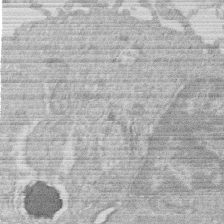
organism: Human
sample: Macrophage cells